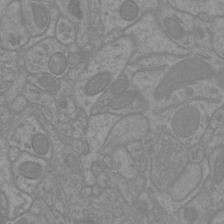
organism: Mouse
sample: Cortical neurons